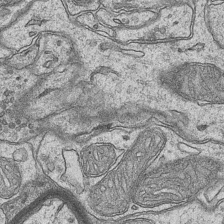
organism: Mouse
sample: CA1 Hippocampus